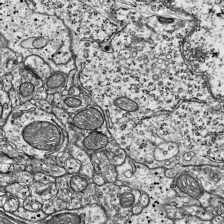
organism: Mouse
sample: Visual Cortex